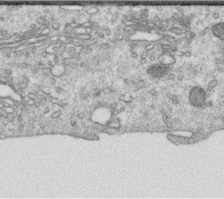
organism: Human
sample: Centriole in RPE cells